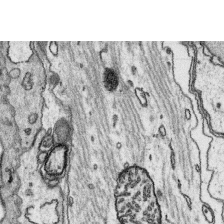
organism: Platynereis dumerilii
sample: Parapodia